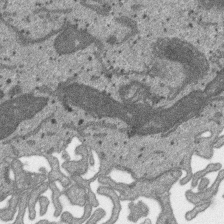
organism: Human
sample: Lung epithelial cells infected with SARS-CoV-2